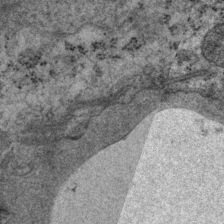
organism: P. pacificus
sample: Pharynx